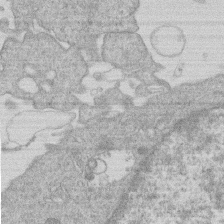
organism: Human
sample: Macrophage cells